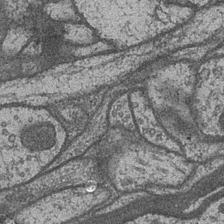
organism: Drosophila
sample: Optic medulla